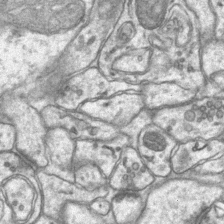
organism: Mouse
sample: CA1 Hippocampus